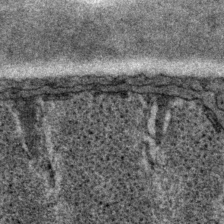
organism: P. pacificus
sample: Pharynx